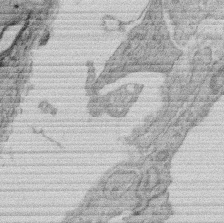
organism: Rat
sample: Salivary granule